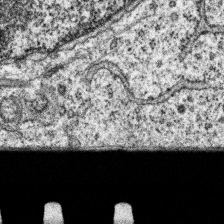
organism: Human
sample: HeLa cells